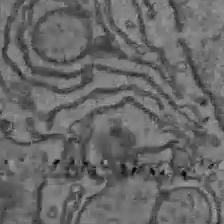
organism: C57BL Mouse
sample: Liver